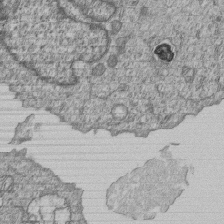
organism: Human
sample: MDA-MB-231 cells